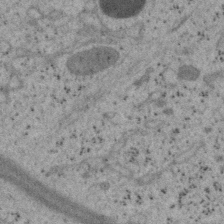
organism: Human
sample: HeLa cells